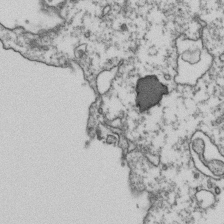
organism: Human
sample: Activated Jurkat CD4+ T cells